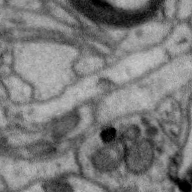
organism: Zebra finch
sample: Brain